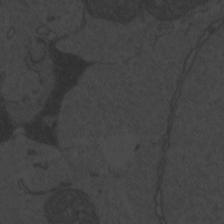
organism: Zebrafish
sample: Macrophage infected with Toxoplasma gondii